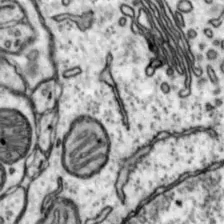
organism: Mouse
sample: Nucleus accumbens